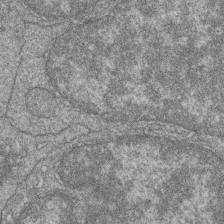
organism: Zebrafish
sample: Cilia; retinal pigment epithelium